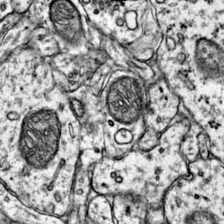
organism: Mouse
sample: Primary visual cortex